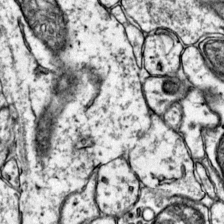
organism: Mouse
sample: Primary visual cortex